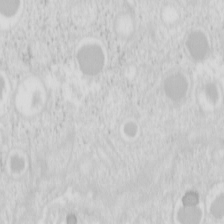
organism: Mouse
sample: Pancreas